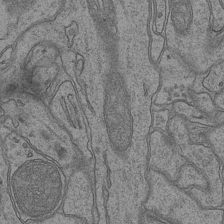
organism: Mouse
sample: CA1 Hippocampus